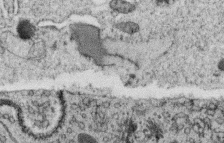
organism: C. elegans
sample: C. elegans oocyte; sperm cells